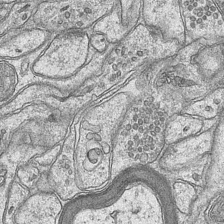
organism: Mouse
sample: CA1 Hippocampus